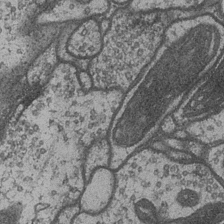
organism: Drosophila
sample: Optic medulla